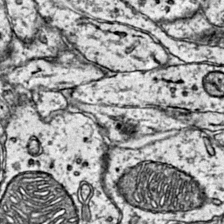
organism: Mouse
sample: Primary visual cortex